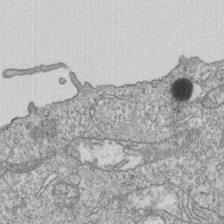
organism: Human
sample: HeLa cell HIV synapse